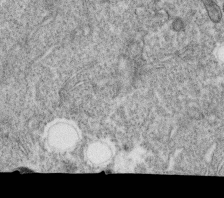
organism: C. elegans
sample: C. elegans oocyte; sperm cells